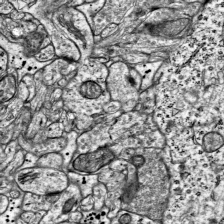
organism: Mouse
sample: Visual Cortex